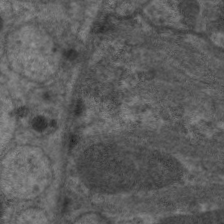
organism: C. elegans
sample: Pharynx